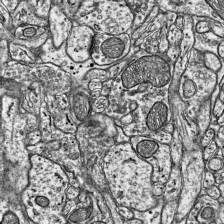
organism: Mouse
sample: Visual Cortex